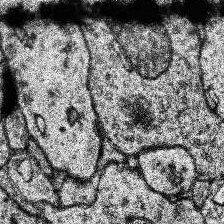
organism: Human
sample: Temporal Lobe